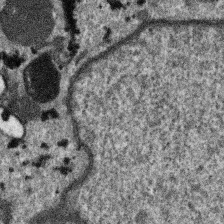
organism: Human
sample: Lung epithelial cells infected with SARS-CoV-2